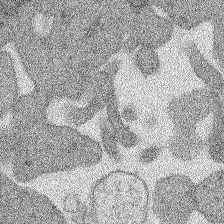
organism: Human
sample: HeLa cells